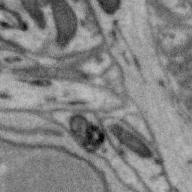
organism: Zebra finch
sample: Brain